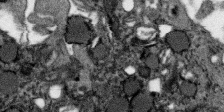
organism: Human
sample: Lung epithelial cells, uninfected (mock) control